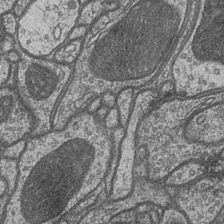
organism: Drosophila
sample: Optic medulla